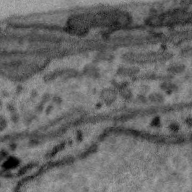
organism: Zebra finch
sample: Brain